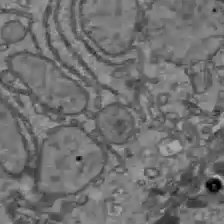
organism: C57BL Mouse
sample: Liver